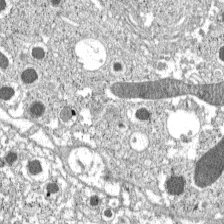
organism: C57BL Mouse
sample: Pancreatic islet